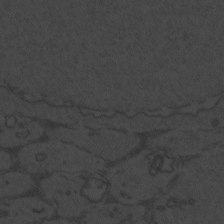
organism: Zebrafish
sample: Macrophage infected with Toxoplasma gondii